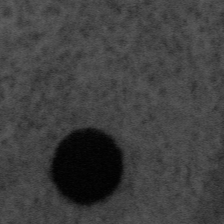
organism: Tuwongella immobilis